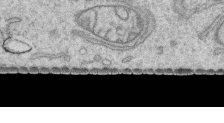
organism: Human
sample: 1205lu cells